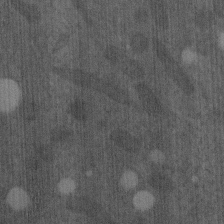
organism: C. elegans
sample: C. elegans embryo early stage